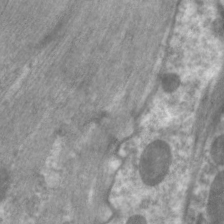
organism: C. elegans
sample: Pharynx